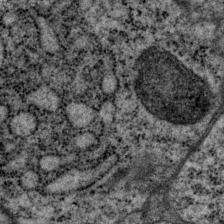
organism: P. pacificus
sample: Pharynx